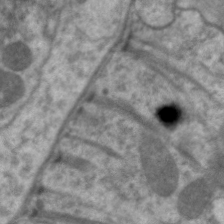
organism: C. elegans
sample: Pharynx